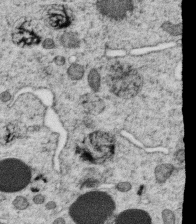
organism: C. elegans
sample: C. elegans oocyte; sperm cells